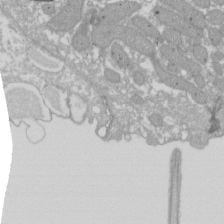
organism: Xenopus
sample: Cilia; centrioles in frog embryo cells